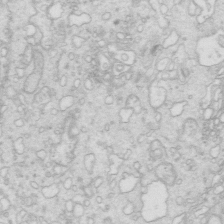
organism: Mouse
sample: Multiciliated cells